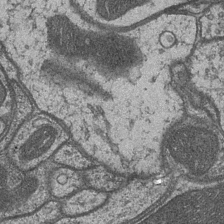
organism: Drosophila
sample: Optic medulla